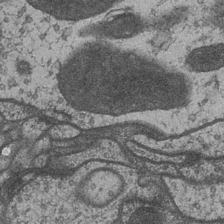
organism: Drosophila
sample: Optic medulla